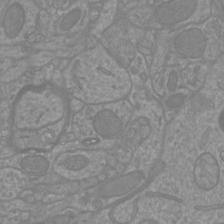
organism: Mouse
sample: Cortical neurons